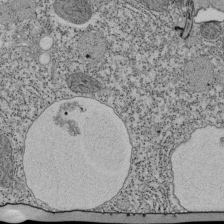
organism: Tetrahymena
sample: Cilia in tetrahymena